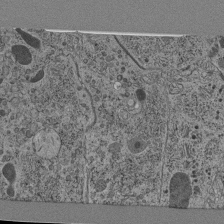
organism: C. elegans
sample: C. elegans pharynx